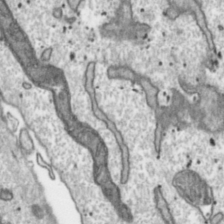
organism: Toxoplasma gondii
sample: Parasites in a vacuole inside a host cell